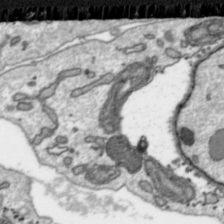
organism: Toxoplasma gondii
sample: Parasites in a vacuole inside a host cell